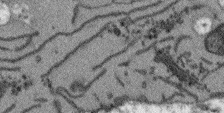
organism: Arabidopsis thaliana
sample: Root tip